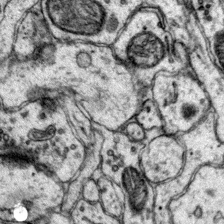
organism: Mouse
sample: Primary visual cortex